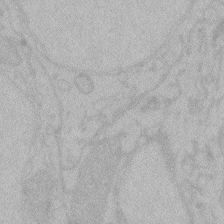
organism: Zebrafish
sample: Macrophage infected with Toxoplasma gondii